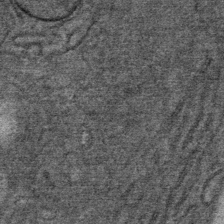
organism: Mouse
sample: Mouse Salivary gland